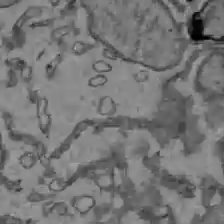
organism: C57BL Mouse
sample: Liver